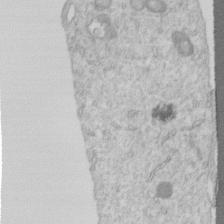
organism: Human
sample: Centriole in RPE cells